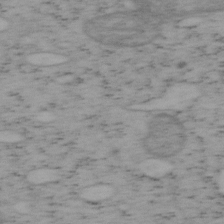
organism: Mouse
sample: OT-I killer T cells with ID8 ovarian cancer cells